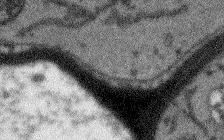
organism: Arabidopsis thaliana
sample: Root tip